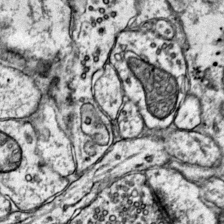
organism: Mouse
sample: Primary visual cortex